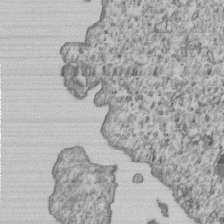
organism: Human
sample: MDA-MB-231 cells